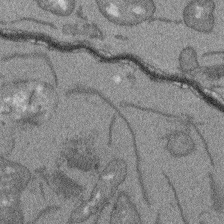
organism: Arabidopsis thaliana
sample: Root tip